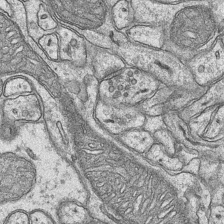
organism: Mouse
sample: CA1 Hippocampus